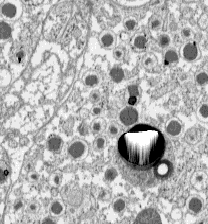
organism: C57BL Mouse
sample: Pancreatic islet